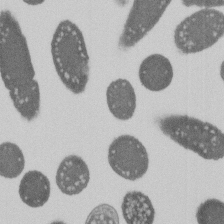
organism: E. coli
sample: Bacterial nucleoid